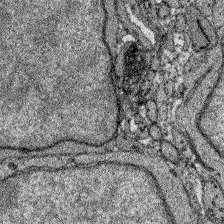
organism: Zebrafish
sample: Larval olfactory bulb